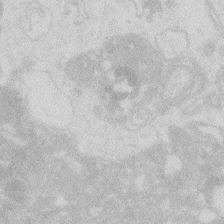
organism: Zebrafish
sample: Macrophage